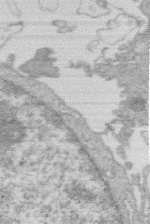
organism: Human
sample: Macrophage cells